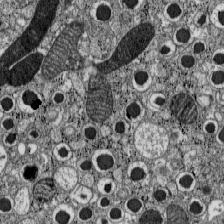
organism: C57BL Mouse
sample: Pancreatic islet